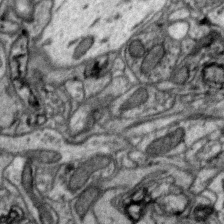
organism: Zebra finch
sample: Brain